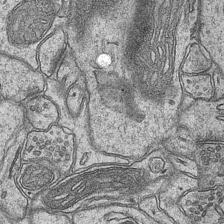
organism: Mouse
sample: CA1 Hippocampus